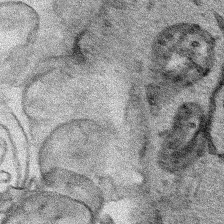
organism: Human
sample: Mitochondria in HCT116 cells